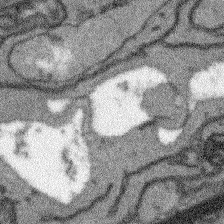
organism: Arabidopsis thaliana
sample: Root tip